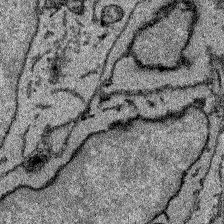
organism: Zebrafish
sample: Larval olfactory bulb